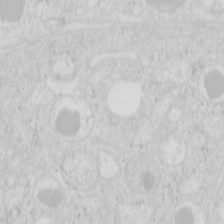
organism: Mouse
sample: Pancreas